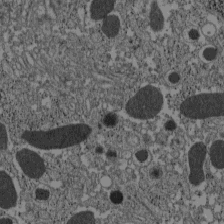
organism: C57BL Mouse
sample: Pancreatic islet